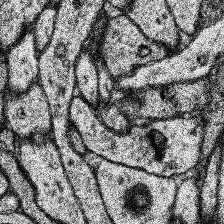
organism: Human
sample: Temporal Lobe